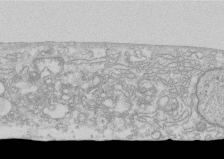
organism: Human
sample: CRL-1474